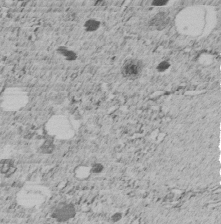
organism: C. elegans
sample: C. elegans embryo early stage